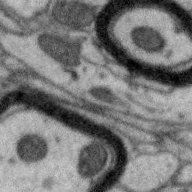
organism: Zebra finch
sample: Brain